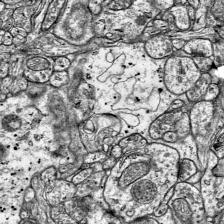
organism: Mouse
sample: Visual Cortex